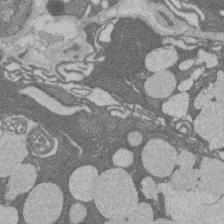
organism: Rat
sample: Salivary granule